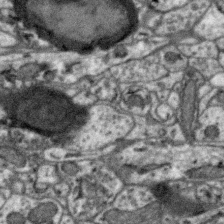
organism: Zebra finch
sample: Brain